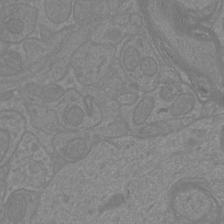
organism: Mouse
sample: Cortical neurons